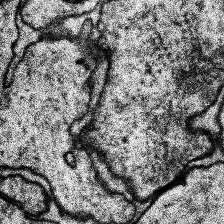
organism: Human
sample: Temporal Lobe